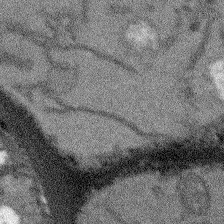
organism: Arabidopsis thaliana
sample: Root tip